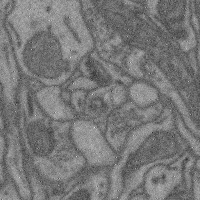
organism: Mouse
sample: Cerebral cortex